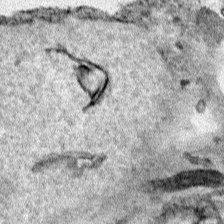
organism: Human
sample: Mitochondria in HCT116 cells